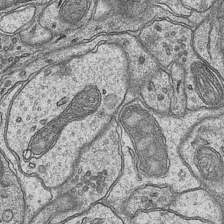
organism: Mouse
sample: CA1 Hippocampus